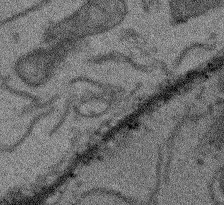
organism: Arabidopsis thaliana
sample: Root tip